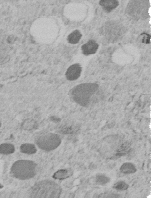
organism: C. elegans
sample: C. elegans embryo early stage